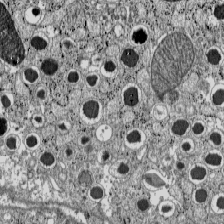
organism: C57BL Mouse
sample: Pancreatic islet